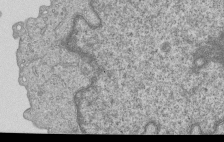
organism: Human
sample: MDA-MB-231 cells